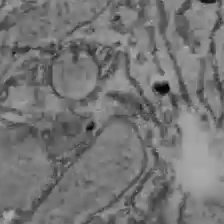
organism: C57BL Mouse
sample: Liver